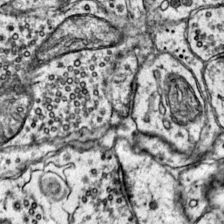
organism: Mouse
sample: Primary visual cortex